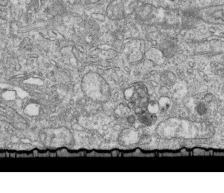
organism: Human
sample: HeLa cell HIV synapse